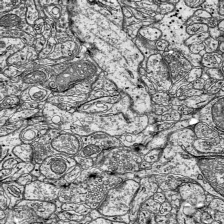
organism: Mouse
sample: Visual Cortex